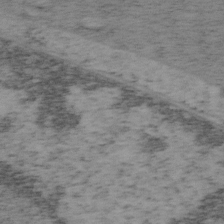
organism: Mouse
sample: OT-I killer T cells with ID8 ovarian cancer cells